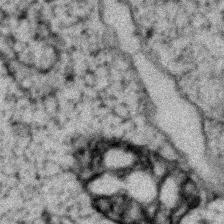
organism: Zebrafish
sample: Zebrafish embryo